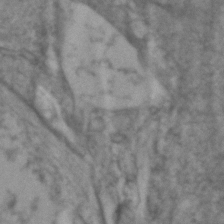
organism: Zebrafish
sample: Zebrafish embryo